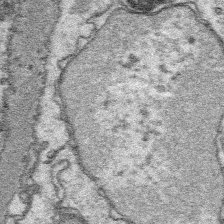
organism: Platynereis dumerilii